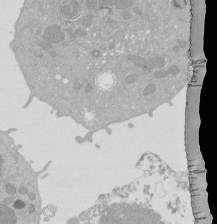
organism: Mouse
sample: Activated Pmel transgenic CD8+ T Cells